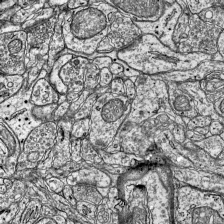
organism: Mouse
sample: Visual Cortex